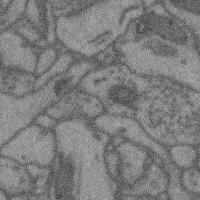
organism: Mouse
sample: Cerebral cortex